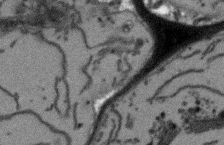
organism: Arabidopsis thaliana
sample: Root tip